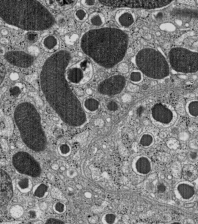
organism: C57BL Mouse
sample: Pancreatic islet